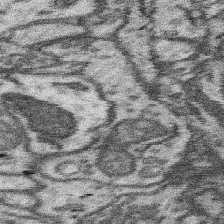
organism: Mouse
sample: Somatosensory cortex neuropil